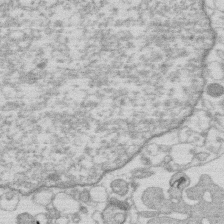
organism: Human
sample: Macrophage cells